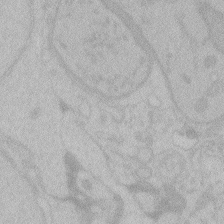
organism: Zebrafish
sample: Macrophage infected with Toxoplasma gondii